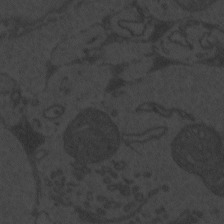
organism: Zebrafish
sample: Macrophage infected with Toxoplasma gondii